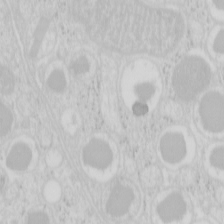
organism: Mouse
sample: Pancreas